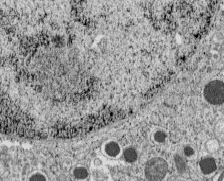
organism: C57BL Mouse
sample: Pancreatic islet